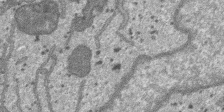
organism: Human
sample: Lung epithelial cells infected with SARS-CoV-2